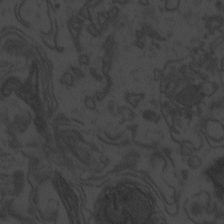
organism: Zebrafish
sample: Macrophage infected with Toxoplasma gondii